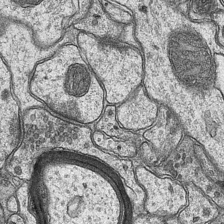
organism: Mouse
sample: CA1 Hippocampus